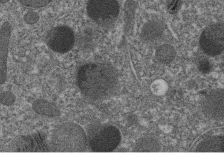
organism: C. elegans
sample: C. elegans embryo early stage